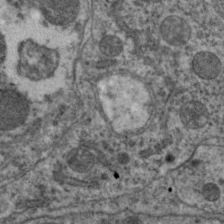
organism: C. elegans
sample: Pharynx